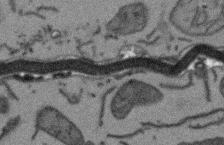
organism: Arabidopsis thaliana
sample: Root tip